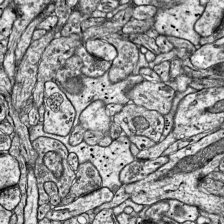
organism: Mouse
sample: Visual Cortex